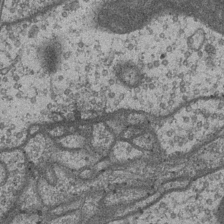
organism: Drosophila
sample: Optic medulla